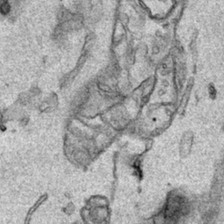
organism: Human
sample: Mitochondria in HCT116 cells